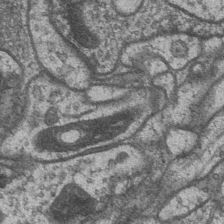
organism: Drosophila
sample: Optic medulla